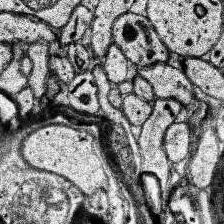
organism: Human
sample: Temporal Lobe